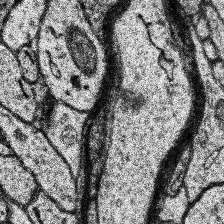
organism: Human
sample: Temporal Lobe